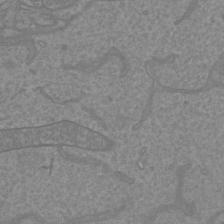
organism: Mouse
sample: Cortical neurons